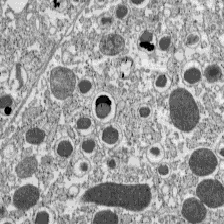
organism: C57BL Mouse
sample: Pancreatic islet